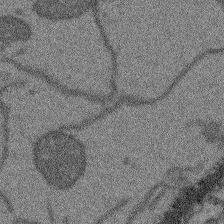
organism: Arabidopsis thaliana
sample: Root tip